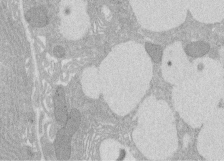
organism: Rat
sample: Salivary granule